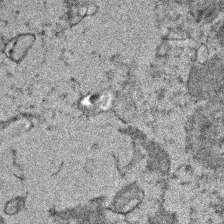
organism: Human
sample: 1205lu cells